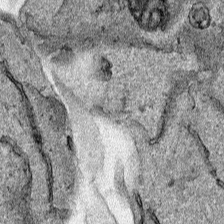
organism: Human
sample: Mitochondria in HCT116 cells